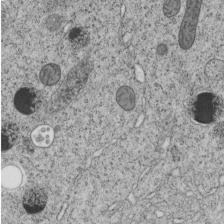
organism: C. elegans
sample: C. elegans embryo early stage